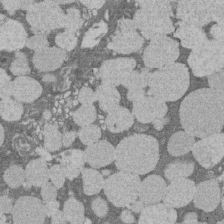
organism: Rat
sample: Salivary granule